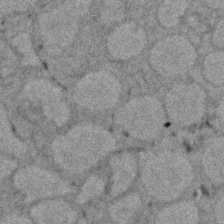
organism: Zebrafish